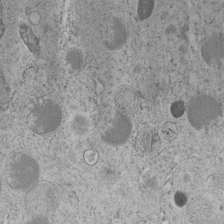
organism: C. elegans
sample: C. elegans embryo early stage